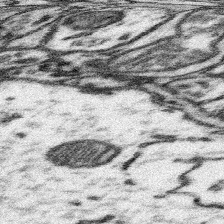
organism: Mouse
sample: Somatosensory cortex neuropil